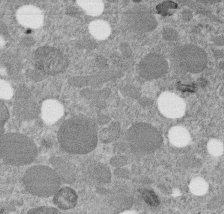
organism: C. elegans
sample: C. elegans embryo early stage